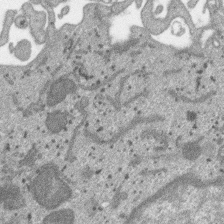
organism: Human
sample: Lung epithelial cells infected with SARS-CoV-2